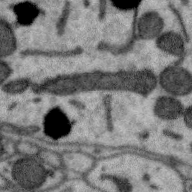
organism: Zebra finch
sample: Brain